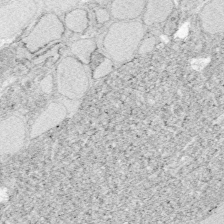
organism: Zebrafish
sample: Whole-Brain